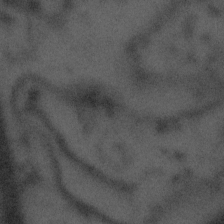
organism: Tuwongella immobilis